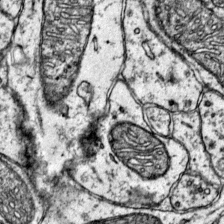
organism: Mouse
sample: Primary visual cortex